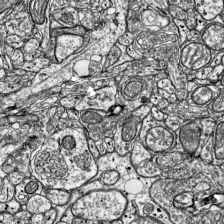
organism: Mouse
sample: Visual Cortex